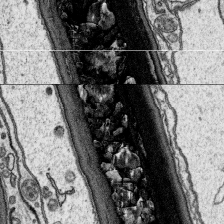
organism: Platynereis dumerilii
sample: Parapodia